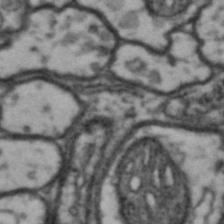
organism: Drosophila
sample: Brain